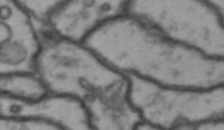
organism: Drosophila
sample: Brain